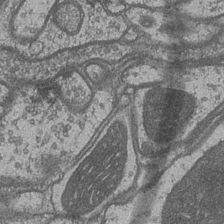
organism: Drosophila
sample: Optic medulla